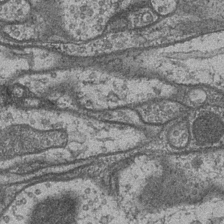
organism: Drosophila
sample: Optic medulla